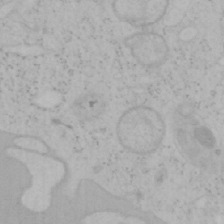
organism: Mouse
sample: OT-I killer T cells with ID8 ovarian cancer cells